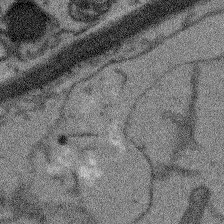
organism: Arabidopsis thaliana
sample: Root tip